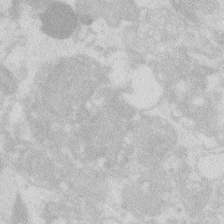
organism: Zebrafish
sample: Macrophage